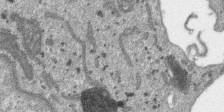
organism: Human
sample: Lung epithelial cells infected with SARS-CoV-2